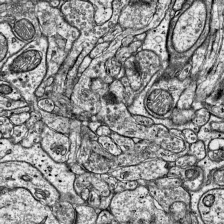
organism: Mouse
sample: Visual Cortex